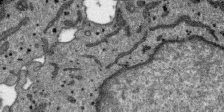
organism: Human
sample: Lung epithelial cells, uninfected (mock) control